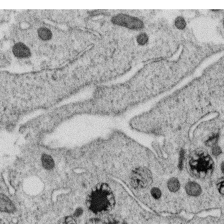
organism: C. elegans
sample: C. elegans oocyte; sperm cells